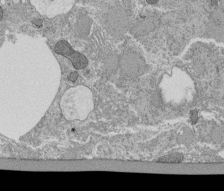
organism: Tetrahymena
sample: Cilia in tetrahymena